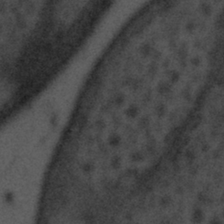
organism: Tuwongella immobilis